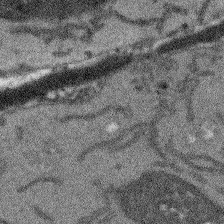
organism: Arabidopsis thaliana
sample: Root tip